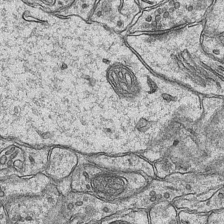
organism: Mouse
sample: CA1 Hippocampus